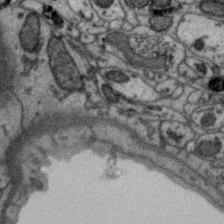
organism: Zebra finch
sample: Brain